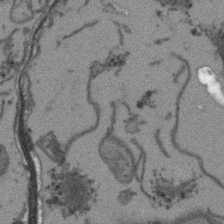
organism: Arabidopsis thaliana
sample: Root tip